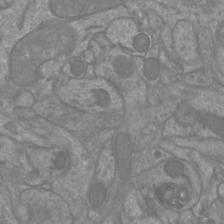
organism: Mouse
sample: Cortical neurons